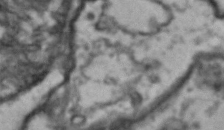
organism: Drosophila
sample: Brain